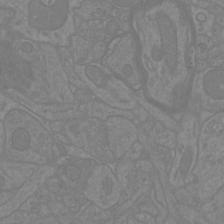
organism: Mouse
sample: Cortical neurons